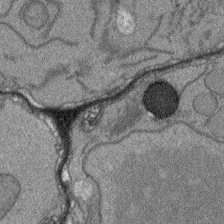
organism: Arabidopsis thaliana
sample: Root tip